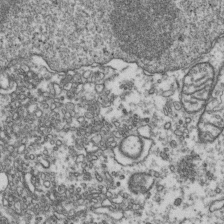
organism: Human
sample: Activated Jurkat CD4+ T cells